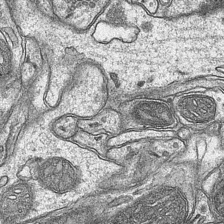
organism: Mouse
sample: CA1 Hippocampus